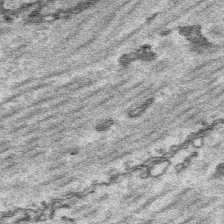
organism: Platynereis dumerilii